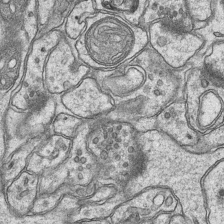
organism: Mouse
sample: CA1 Hippocampus